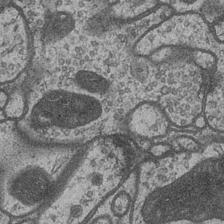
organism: Drosophila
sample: Optic medulla